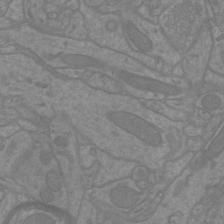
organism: Mouse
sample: Cortical neurons